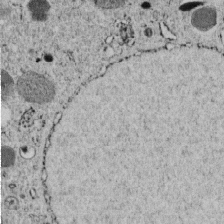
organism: C. elegans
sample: C. elegans embryo early stage